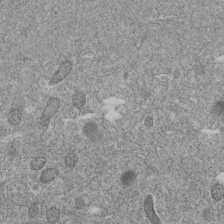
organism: C. elegans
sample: C. elegans embryo early stage